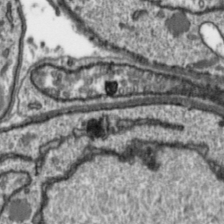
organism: Toxoplasma gondii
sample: Parasites in a vacuole inside a host cell